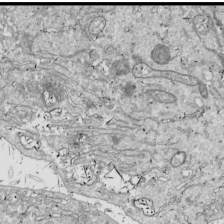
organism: Drosophila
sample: Cell division; meiosis; drosophila spermatocytes